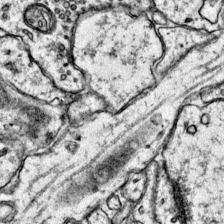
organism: Mouse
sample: Primary visual cortex